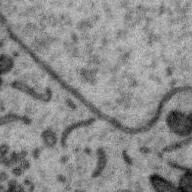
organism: Zebra finch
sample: Brain